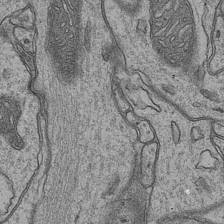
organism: Mouse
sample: CA1 Hippocampus